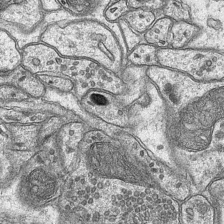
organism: Mouse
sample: CA1 Hippocampus